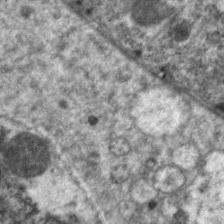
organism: C. elegans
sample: Pharynx